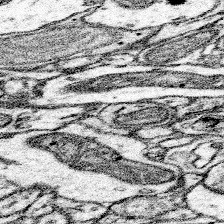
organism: Mouse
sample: Somatosensory cortex neuropil